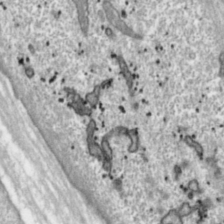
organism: Toxoplasma gondii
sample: Parasites in a vacuole inside a host cell